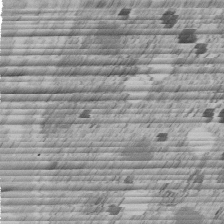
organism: C. elegans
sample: C. elegans embryo early stage